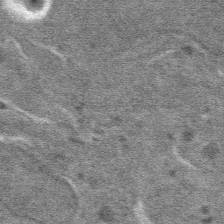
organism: Mouse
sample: Mouse hepatocytes